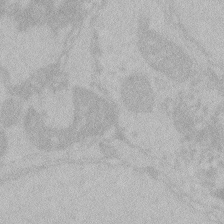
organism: Zebrafish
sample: Macrophage infected with Toxoplasma gondii